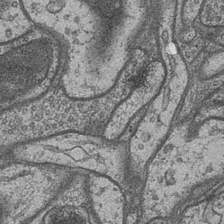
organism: Drosophila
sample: Optic medulla